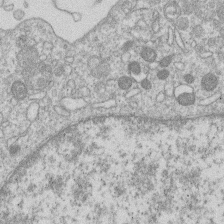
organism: Human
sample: Macrophage cells